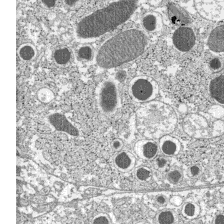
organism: C57BL Mouse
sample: Pancreatic islet